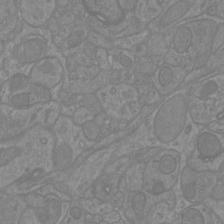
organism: Mouse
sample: Cortical neurons